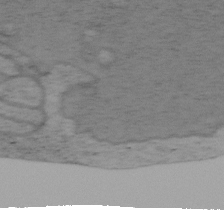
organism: Mouse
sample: OT-I killer T cells with ID8 ovarian cancer cells